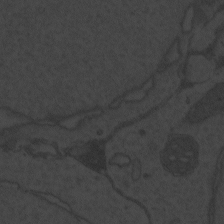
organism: Zebrafish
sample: Macrophage infected with Toxoplasma gondii